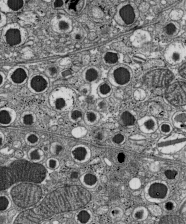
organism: C57BL Mouse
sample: Pancreatic islet